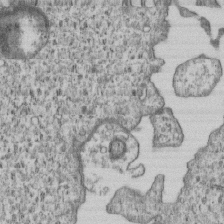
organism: Human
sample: MDA-MB-231 cells